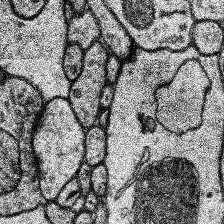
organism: Human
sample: Temporal Lobe